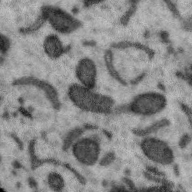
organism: Zebra finch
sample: Brain